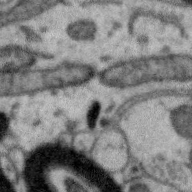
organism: Zebra finch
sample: Brain